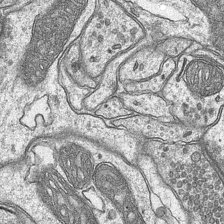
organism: Mouse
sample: CA1 Hippocampus